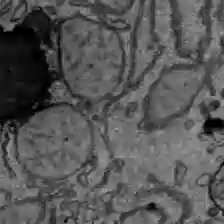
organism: C57BL Mouse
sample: Liver